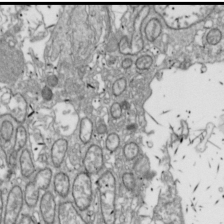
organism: Drosophila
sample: Cell division; meiosis; drosophila spermatocytes